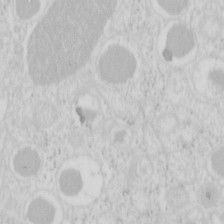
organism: Mouse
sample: Pancreas